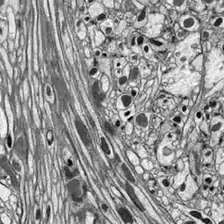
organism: Drosophila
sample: Optic lobe